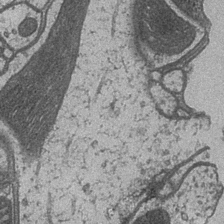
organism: Drosophila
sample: Optic medulla